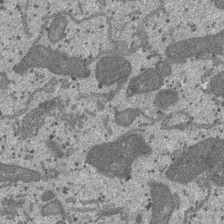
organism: Human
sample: Lung epithelial cells infected with SARS-CoV-2